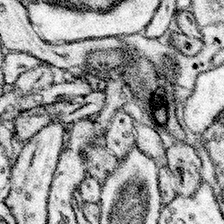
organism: Mouse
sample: Somatosensory cortex neuropil